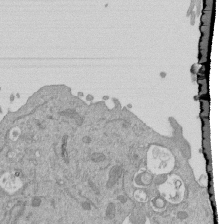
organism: Mouse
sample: ED-1 cell nuclei; centrioles